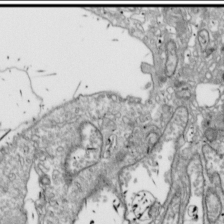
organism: Drosophila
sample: Cell division; meiosis; drosophila spermatocytes